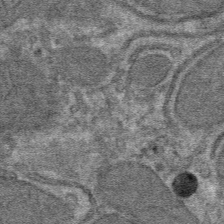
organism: Mouse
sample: Mouse hepatocytes